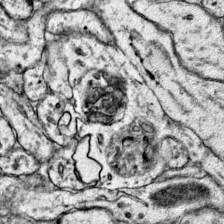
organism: Mouse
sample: Primary visual cortex